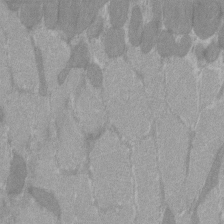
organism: C57BL Mouse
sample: Tibialis anterior muscle cell